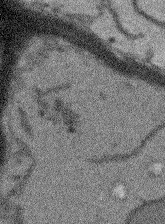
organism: Arabidopsis thaliana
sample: Root tip